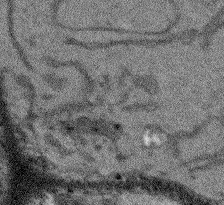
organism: Arabidopsis thaliana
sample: Root tip